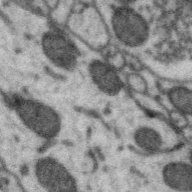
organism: Zebra finch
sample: Brain